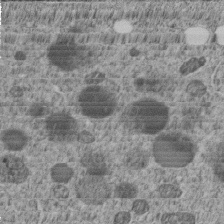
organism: C. elegans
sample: C. elegans embryo early stage